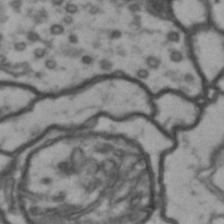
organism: Drosophila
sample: Brain